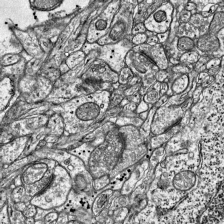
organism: Mouse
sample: Visual Cortex